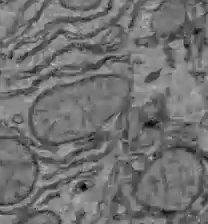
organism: C57BL Mouse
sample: Liver